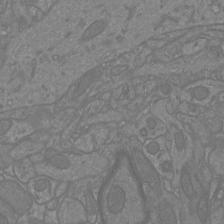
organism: Mouse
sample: Cortical neurons